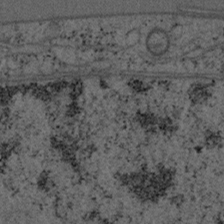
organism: Human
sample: HeLa cells